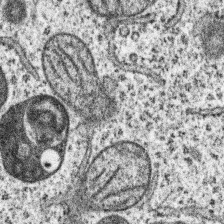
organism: Human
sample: HeLa cells